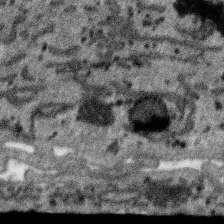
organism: Human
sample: Lung epithelial cells infected with SARS-CoV-2